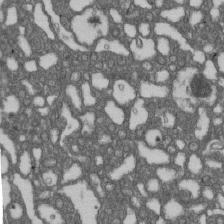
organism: Drosophila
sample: Nephrocyte